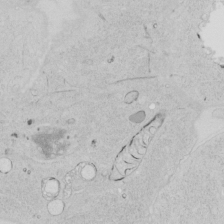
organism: Human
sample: Mitochondria in HCT116 cells